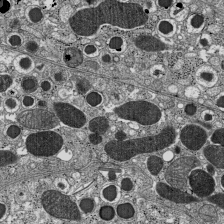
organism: C57BL Mouse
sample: Pancreatic islet